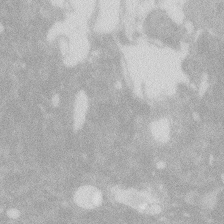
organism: Zebrafish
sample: Macrophage